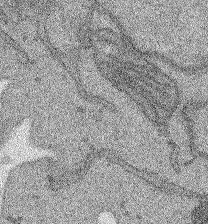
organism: Human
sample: HeLa cells